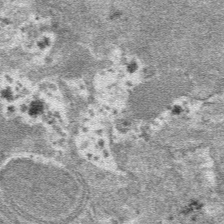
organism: Mouse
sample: Mouse hepatocytes